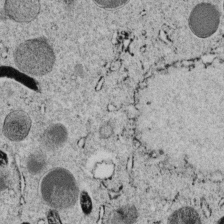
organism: C. elegans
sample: C. elegans embryo early stage